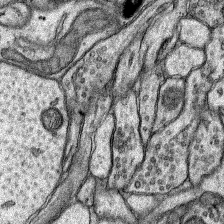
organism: Rat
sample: Hippocampus